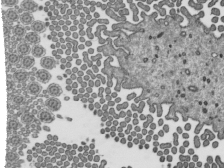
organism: Mouse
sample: Mouse epididymis efferent ductule cilia